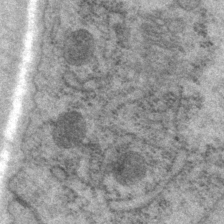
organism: P. pacificus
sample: Pharynx